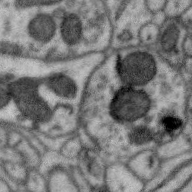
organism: Zebra finch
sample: Brain